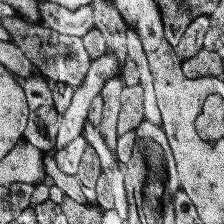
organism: Human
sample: Temporal Lobe